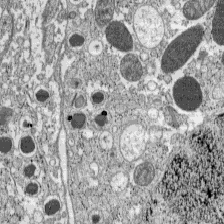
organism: C57BL Mouse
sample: Pancreatic islet